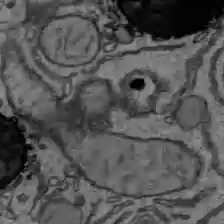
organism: C57BL Mouse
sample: Liver